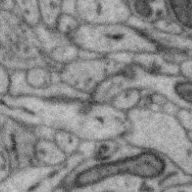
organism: Zebra finch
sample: Brain